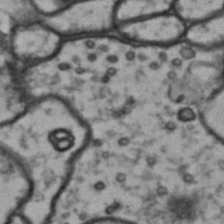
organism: Drosophila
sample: Brain